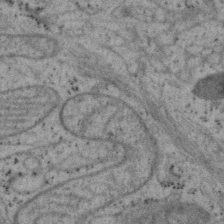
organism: Human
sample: HeLa cells